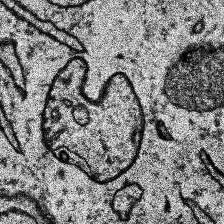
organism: Human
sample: Temporal Lobe